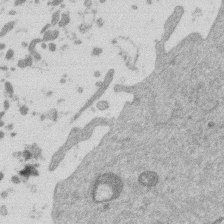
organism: Mouse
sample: Dividing mouse embryo 1 cell stage